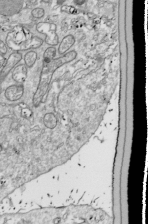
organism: Drosophila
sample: Cell division; meiosis; drosophila spermatocytes